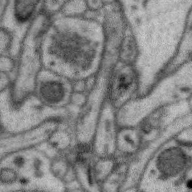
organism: Zebra finch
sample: Brain